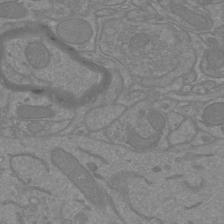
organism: Mouse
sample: Cortical neurons